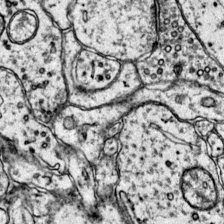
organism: Mouse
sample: Primary visual cortex